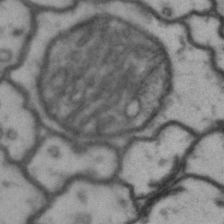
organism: Drosophila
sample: Brain